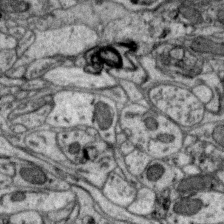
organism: Zebra finch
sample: Brain